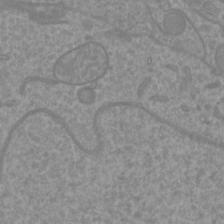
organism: Mouse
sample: Cortical neurons